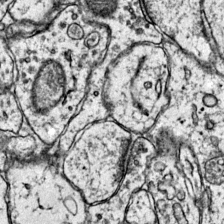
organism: Mouse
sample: Primary visual cortex